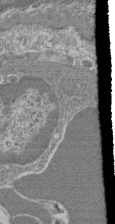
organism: Mouse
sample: Glomerulus